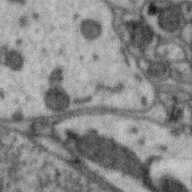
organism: Zebra finch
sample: Brain